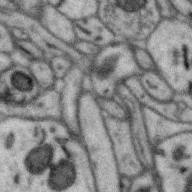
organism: Zebra finch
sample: Brain